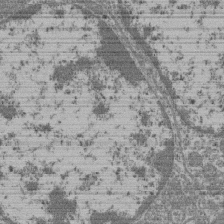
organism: Mouse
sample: Glomerulus